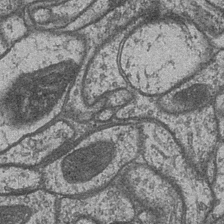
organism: Drosophila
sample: Optic medulla